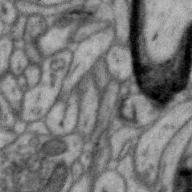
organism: Zebra finch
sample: Brain